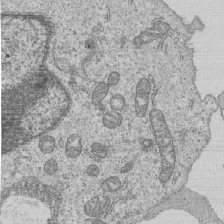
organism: Human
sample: MDA-MB-231 cells